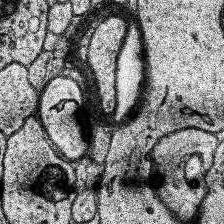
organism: Human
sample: Temporal Lobe